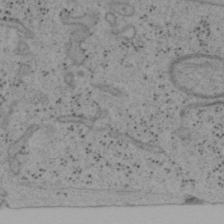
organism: Human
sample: HeLa cells